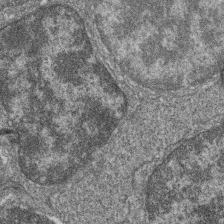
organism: Zebrafish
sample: Cilia; retinal pigment epithelium